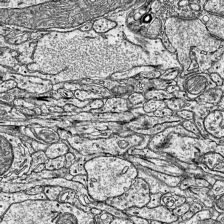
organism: Mouse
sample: Visual Cortex